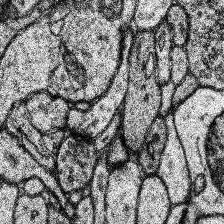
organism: Human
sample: Temporal Lobe